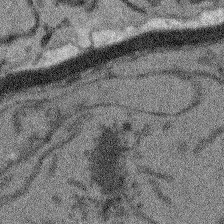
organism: Arabidopsis thaliana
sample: Root tip